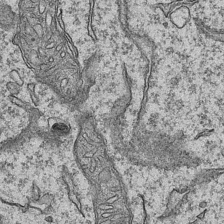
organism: Mouse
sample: CA1 Hippocampus